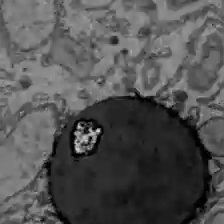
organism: C57BL Mouse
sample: Liver